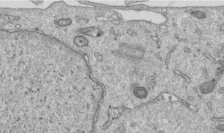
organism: Human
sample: Centriole in RPE cells